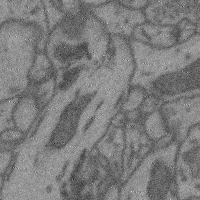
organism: Mouse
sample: Cerebral cortex